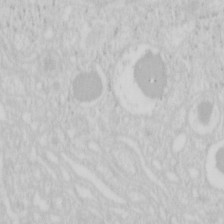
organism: Mouse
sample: Pancreas